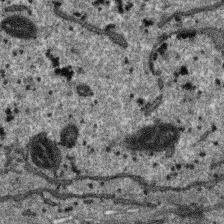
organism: Human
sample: Lung epithelial cells infected with SARS-CoV-2